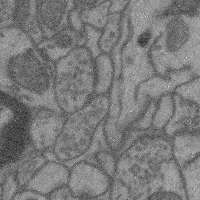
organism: Mouse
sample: Cerebral cortex